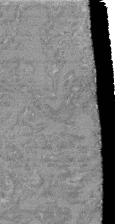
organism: Mouse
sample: Glomerulus